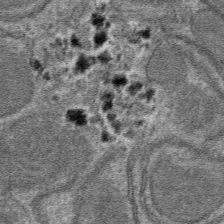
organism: Mouse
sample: Mouse hepatocytes